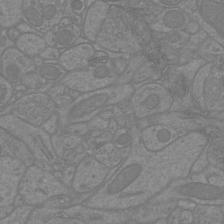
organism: Mouse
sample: Cortical neurons